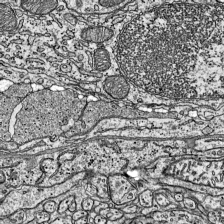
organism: Mouse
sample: Visual Cortex